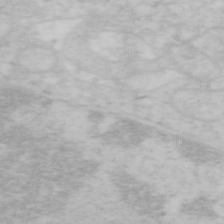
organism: Mouse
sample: OT-I killer T cells with ID8 ovarian cancer cells